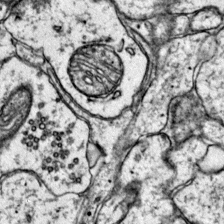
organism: Mouse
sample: Primary visual cortex